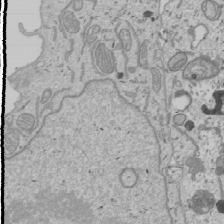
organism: Human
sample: Mitochondria in U2OS cells